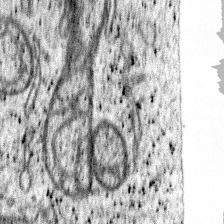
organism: Human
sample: HeLa cells